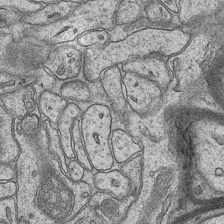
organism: Mouse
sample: CA1 Hippocampus